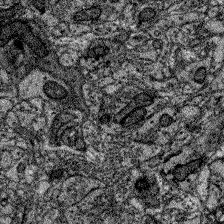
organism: Zebrafish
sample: Larval olfactory bulb